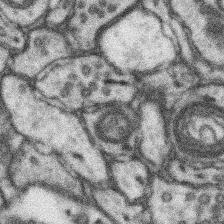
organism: Mouse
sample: Somatosensory cortex neuropil